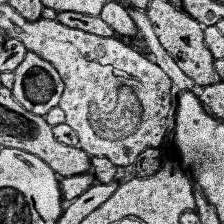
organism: Human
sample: Temporal Lobe